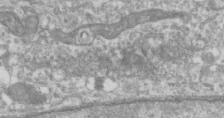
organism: Human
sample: Centriole in RPE cells